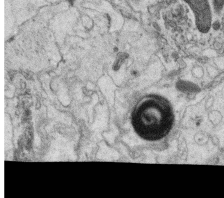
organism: C. elegans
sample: C. elegans oocyte; sperm cells